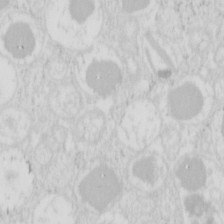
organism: Mouse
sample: Pancreas